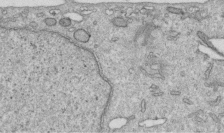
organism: Human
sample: Centriole in RPE cells